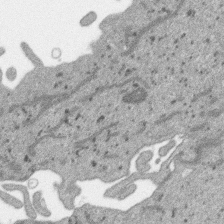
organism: Human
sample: Lung epithelial cells infected with SARS-CoV-2